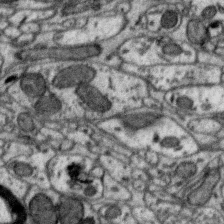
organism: Zebra finch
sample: Brain